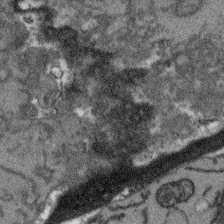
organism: Arabidopsis thaliana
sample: Root tip